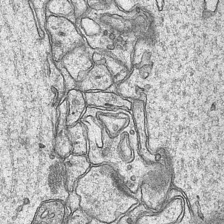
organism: Mouse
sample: CA1 Hippocampus